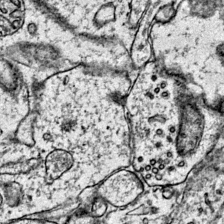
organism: Mouse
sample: Primary visual cortex